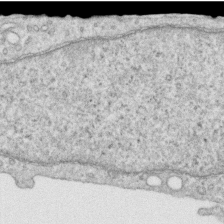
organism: Human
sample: Centriole in RPE cells